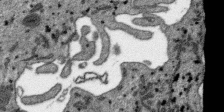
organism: Human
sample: Lung epithelial cells, uninfected (mock) control